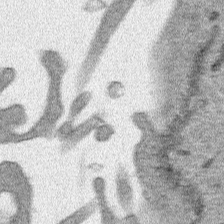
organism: Human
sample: Mitochondria in HCT116 cells